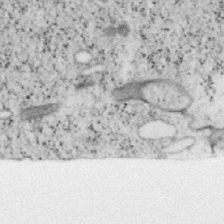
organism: Mouse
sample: OT-I killer T cells with ID8 ovarian cancer cells